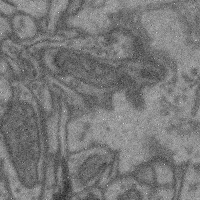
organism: Mouse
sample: Cerebral cortex